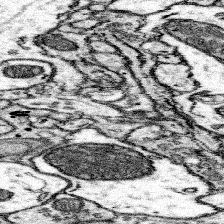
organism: Mouse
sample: Somatosensory cortex neuropil